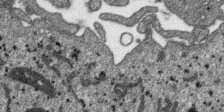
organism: Human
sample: Lung epithelial cells infected with SARS-CoV-2